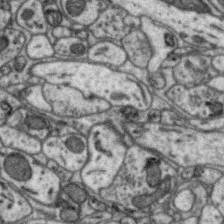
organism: Zebra finch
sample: Brain